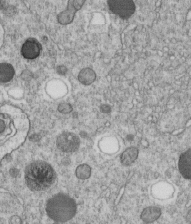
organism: C. elegans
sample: C. elegans embryo early stage